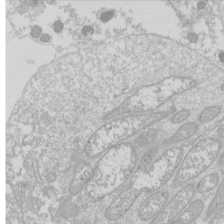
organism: Drosophila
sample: Cell division; meiosis; drosophila spermatocytes